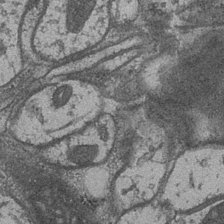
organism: Drosophila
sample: Optic medulla